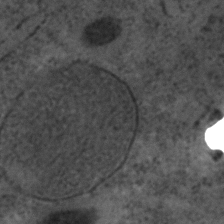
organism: C. elegans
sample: C. elegans embryo